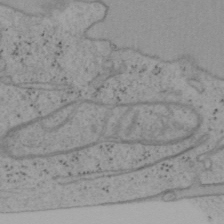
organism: Human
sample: HeLa cells